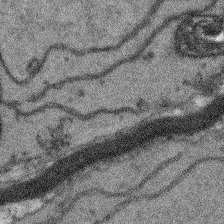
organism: Arabidopsis thaliana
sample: Root tip